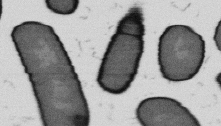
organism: B. subtilis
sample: Bacterial spore